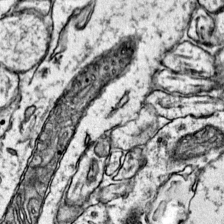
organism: Mouse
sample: Primary visual cortex